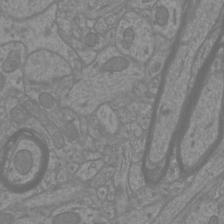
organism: Mouse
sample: Cortical neurons